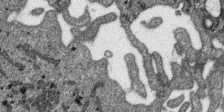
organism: Human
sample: Lung epithelial cells infected with SARS-CoV-2